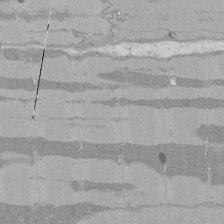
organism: Rat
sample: Left ventricle